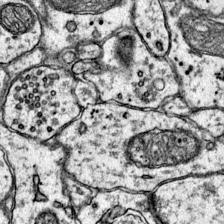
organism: Mouse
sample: Primary visual cortex